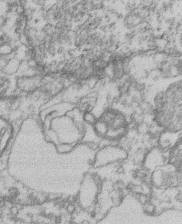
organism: Mouse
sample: T cell stromal cell synapse